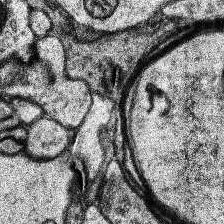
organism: Human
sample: Temporal Lobe